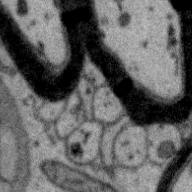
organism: Zebra finch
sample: Brain